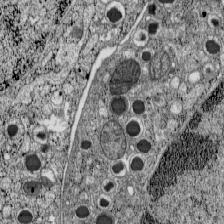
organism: C57BL Mouse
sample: Pancreatic islet